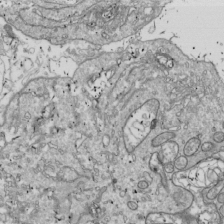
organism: Drosophila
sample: Cell division; meiosis; drosophila spermatocytes